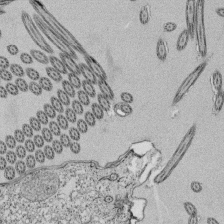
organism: Tetrahymena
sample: Cilia in tetrahymena